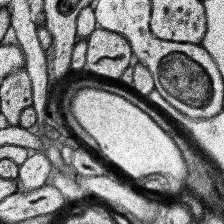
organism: Human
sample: Temporal Lobe